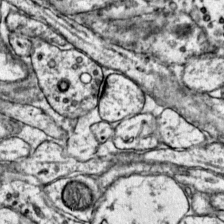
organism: Mouse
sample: Primary visual cortex